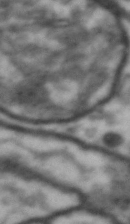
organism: Drosophila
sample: Brain